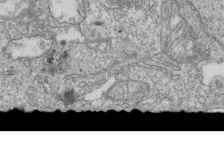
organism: Human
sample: HeLa cell HIV synapse